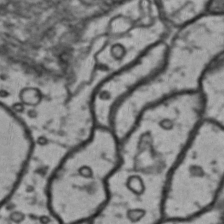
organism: Drosophila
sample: Brain